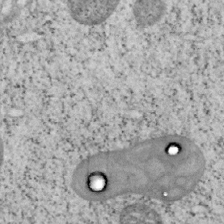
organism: Mouse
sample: OT-I killer T cells with ID8 ovarian cancer cells